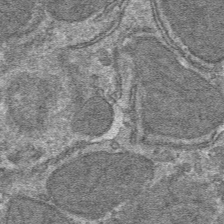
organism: Mouse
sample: Mouse hepatocytes